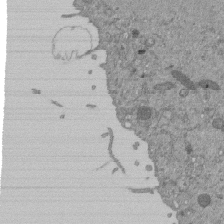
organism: Mouse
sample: ED-1 cell nuclei; centrioles